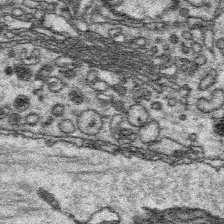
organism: Platynereis dumerilii